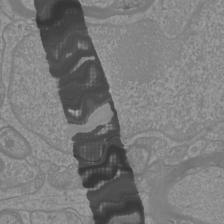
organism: Mouse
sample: Cortical neurons